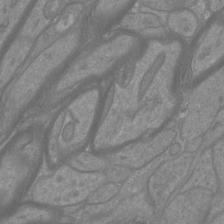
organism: Mouse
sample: Cortical neurons